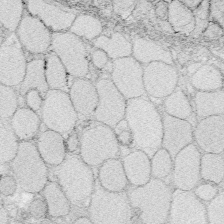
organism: Zebrafish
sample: Whole-Brain